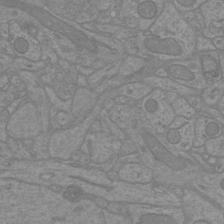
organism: Mouse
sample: Cortical neurons